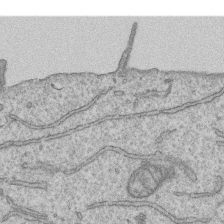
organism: Human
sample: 1205lu cells